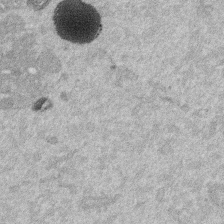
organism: Mouse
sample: Dividing mouse embryo 1 cell stage